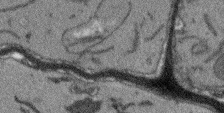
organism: Arabidopsis thaliana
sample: Root tip